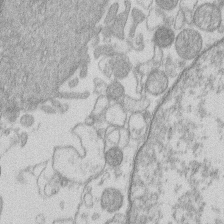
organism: Human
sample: Macrophage cells